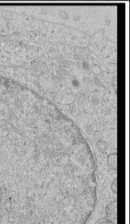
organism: Human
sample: Mitochondria in HCT116 cells